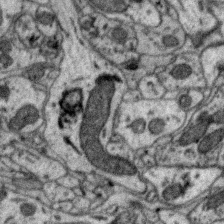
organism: Zebra finch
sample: Brain